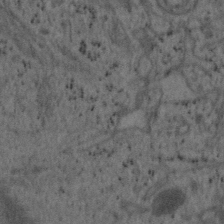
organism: Human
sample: HeLa cells